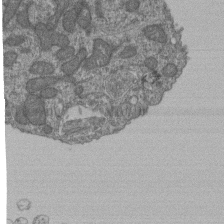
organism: Human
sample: Retinal organoid Rod and Cone cells